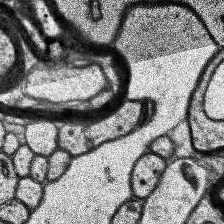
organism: Human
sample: Temporal Lobe